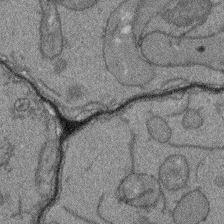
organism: Arabidopsis thaliana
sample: Root tip